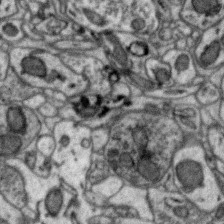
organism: Zebra finch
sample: Brain